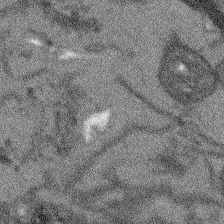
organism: Arabidopsis thaliana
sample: Root tip